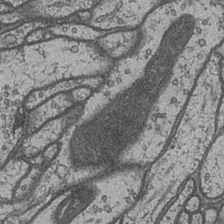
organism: Drosophila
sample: Optic medulla